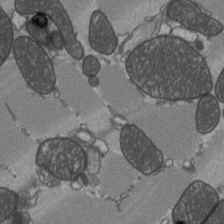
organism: C57BL Mouse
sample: Heart